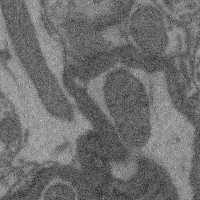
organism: Mouse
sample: Cerebral cortex